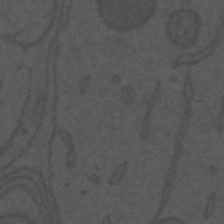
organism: Mouse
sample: Suprachiasmatic nucleus